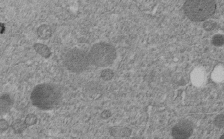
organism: C. elegans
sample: C. elegans embryo early stage